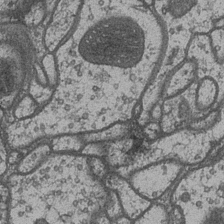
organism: Drosophila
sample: Optic medulla